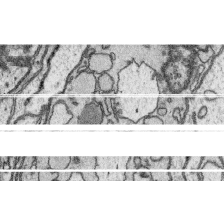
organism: Platynereis dumerilii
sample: Parapodia